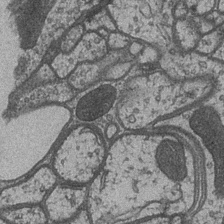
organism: Drosophila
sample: Optic medulla